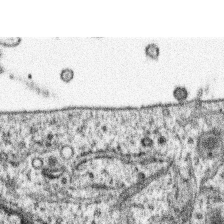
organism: Human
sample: HeLa cells